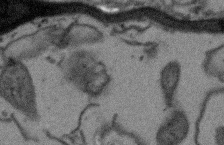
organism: Arabidopsis thaliana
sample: Root tip